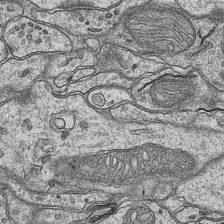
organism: Mouse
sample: CA1 Hippocampus